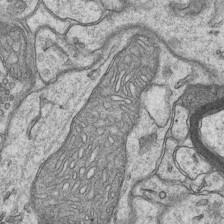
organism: Mouse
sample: CA1 Hippocampus